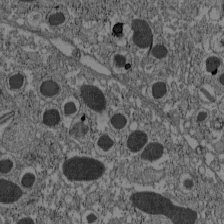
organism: C57BL Mouse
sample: Pancreatic islet